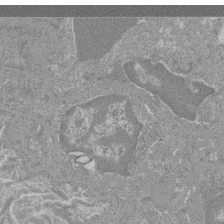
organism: Mouse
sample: Glomerulus